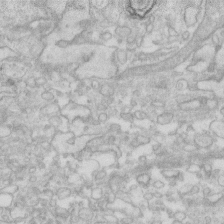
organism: Human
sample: Fibroblast cells